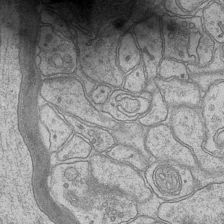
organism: Mouse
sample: CA1 Hippocampus